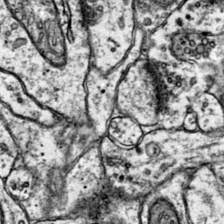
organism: Mouse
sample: Primary visual cortex